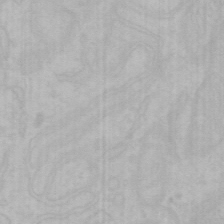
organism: Mouse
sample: Choroid plexus